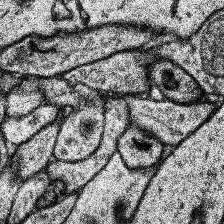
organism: Human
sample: Temporal Lobe